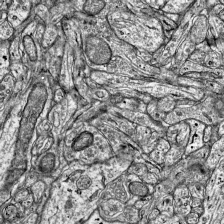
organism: Mouse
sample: Visual Cortex